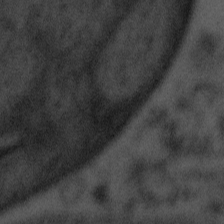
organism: Tuwongella immobilis